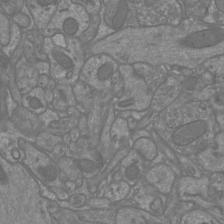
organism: Mouse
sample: Cortical neurons